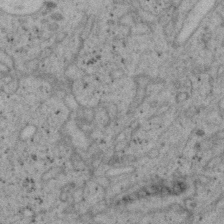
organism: Human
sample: HeLa cells